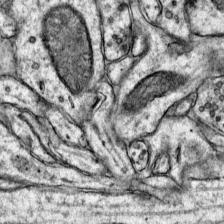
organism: Mouse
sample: Primary visual cortex